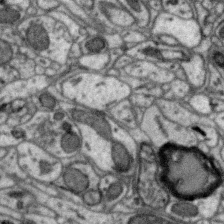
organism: Zebra finch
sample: Brain